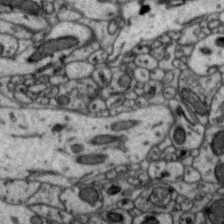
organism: Zebra finch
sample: Brain